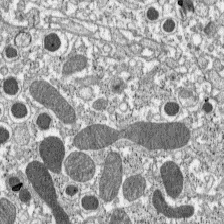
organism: C57BL Mouse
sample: Pancreatic islet